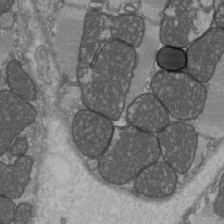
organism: C57BL Mouse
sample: Heart